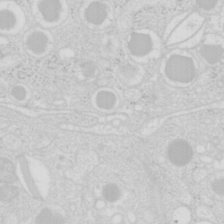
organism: Mouse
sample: Pancreas